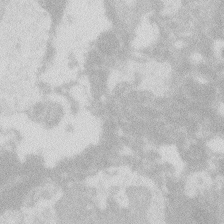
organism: Zebrafish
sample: Macrophage